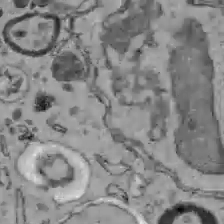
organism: C57BL Mouse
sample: Liver